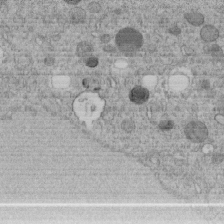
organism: C. elegans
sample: C. elegans embryo early stage